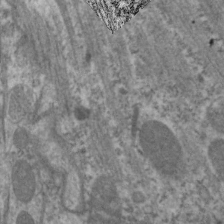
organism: C. elegans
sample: Pharynx